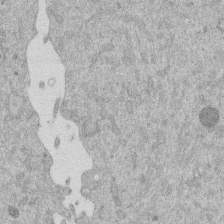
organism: Mouse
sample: Dividing mouse embryo 1 cell stage